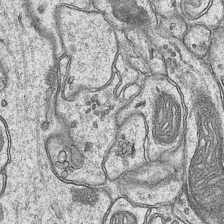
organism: Mouse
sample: CA1 Hippocampus